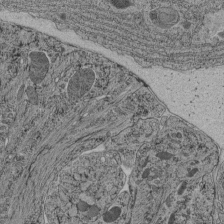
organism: C. elegans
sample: C. elegans pharynx